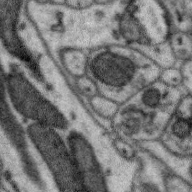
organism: Zebra finch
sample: Brain